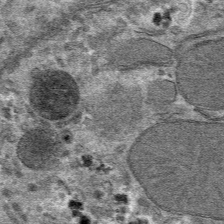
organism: Mouse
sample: Mouse hepatocytes